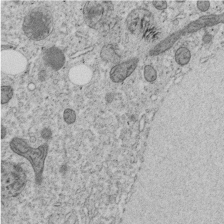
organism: C. elegans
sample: C. elegans embryo early stage